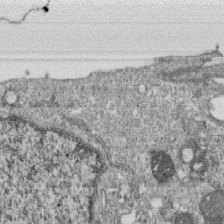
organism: African green monkey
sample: Vero E6 cells infected with SARS-CoV-2